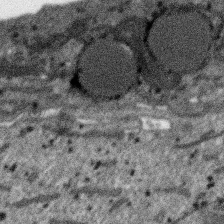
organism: Human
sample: Lung epithelial cells infected with SARS-CoV-2